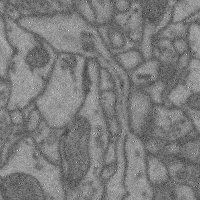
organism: Mouse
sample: Cerebral cortex